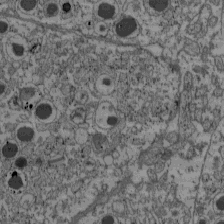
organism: C57BL Mouse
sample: Pancreatic islet